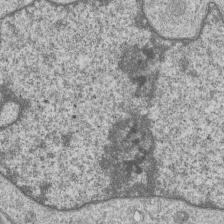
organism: Human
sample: MDA-MB-231 cells